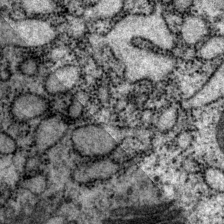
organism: P. pacificus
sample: Pharynx